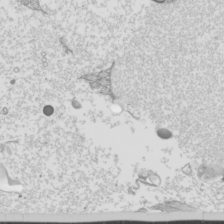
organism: Mouse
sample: Cilia; mouse epididymis